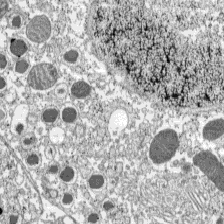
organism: C57BL Mouse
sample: Pancreatic islet